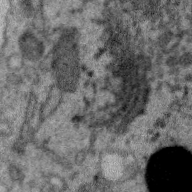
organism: Zebra finch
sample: Brain